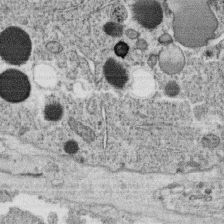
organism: C. elegans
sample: C. elegans oocyte; sperm cells